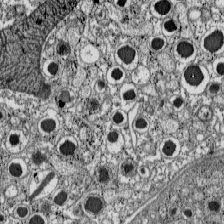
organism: C57BL Mouse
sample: Pancreatic islet